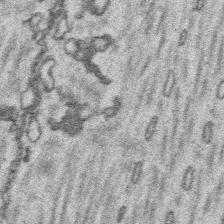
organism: Platynereis dumerilii